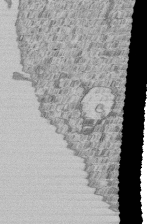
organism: Human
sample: MDA-MB-231 cells